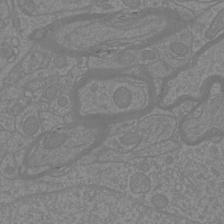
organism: Mouse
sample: Cortical neurons